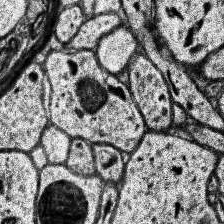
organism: Human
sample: Temporal Lobe